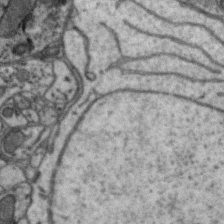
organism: Zebra finch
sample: Brain